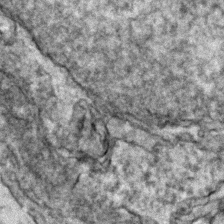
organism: Zebrafish